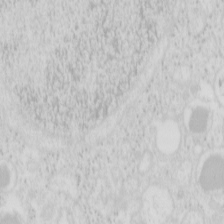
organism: Mouse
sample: Pancreas